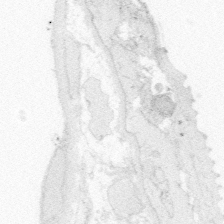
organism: Zebrafish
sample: Whole-Brain